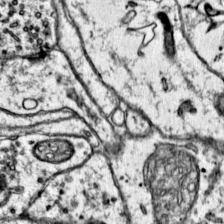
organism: Mouse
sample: Primary visual cortex